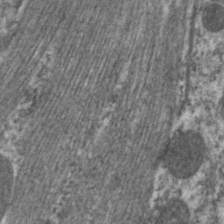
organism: C. elegans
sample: Pharynx